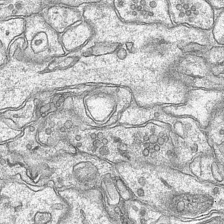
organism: Mouse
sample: CA1 Hippocampus